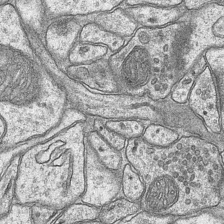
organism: Mouse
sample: CA1 Hippocampus